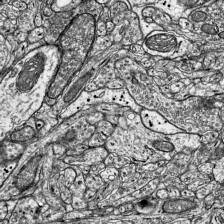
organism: Mouse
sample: Visual Cortex